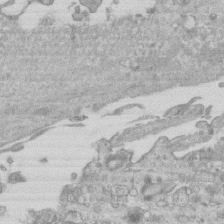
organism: Mouse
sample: Centriole in ependymal cells